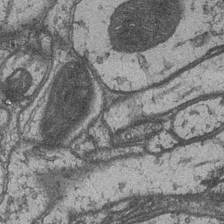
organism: Drosophila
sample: Optic medulla